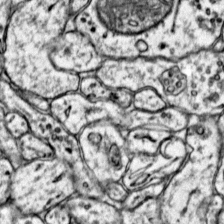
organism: Mouse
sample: Primary visual cortex